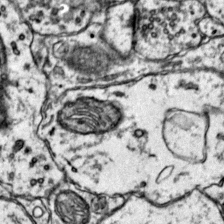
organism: Mouse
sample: Primary visual cortex